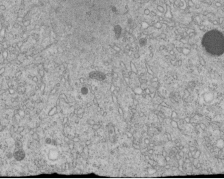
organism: C. elegans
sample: C. elegans embryo early stage